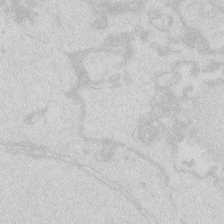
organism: Zebrafish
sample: Macrophage